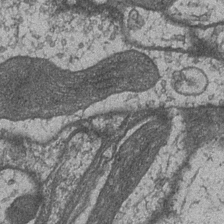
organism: Drosophila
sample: Optic medulla